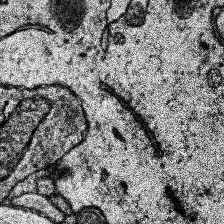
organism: Human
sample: Temporal Lobe